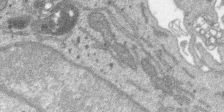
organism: Human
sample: Lung epithelial cells infected with SARS-CoV-2